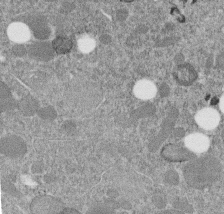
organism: C. elegans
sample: C. elegans embryo early stage